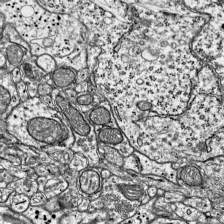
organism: Mouse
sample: Visual Cortex